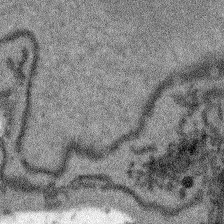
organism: Arabidopsis thaliana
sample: Root tip